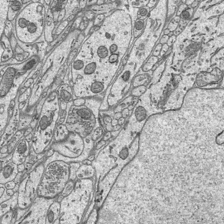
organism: Mouse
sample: Suprachiasmatic nucleus